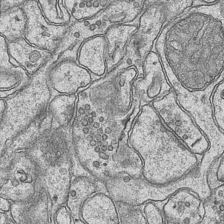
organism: Mouse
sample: CA1 Hippocampus